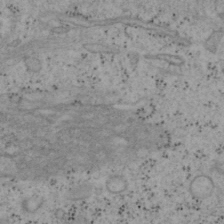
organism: Human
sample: HeLa cells